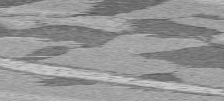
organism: C57BL Mouse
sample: Heart